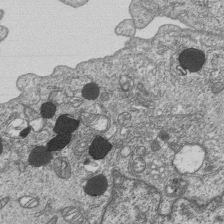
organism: Human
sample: MDA-MB-231 cells